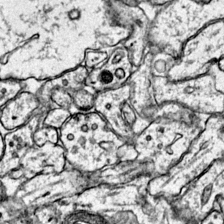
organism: Mouse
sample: Primary visual cortex